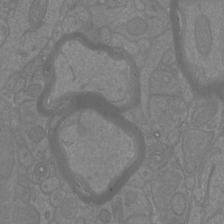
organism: Mouse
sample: Cortical neurons